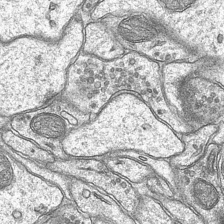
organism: Mouse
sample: CA1 Hippocampus